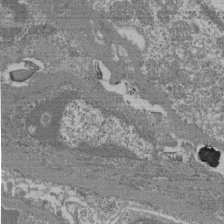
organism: Mouse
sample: Glomerulus